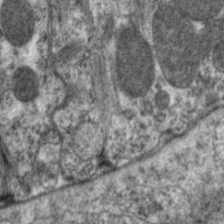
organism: C. elegans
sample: Pharynx